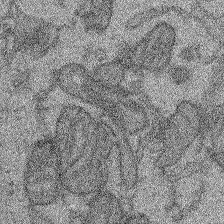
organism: Human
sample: HeLa cells